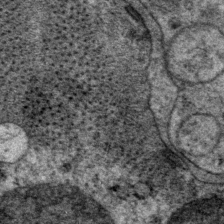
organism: P. pacificus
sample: Pharynx